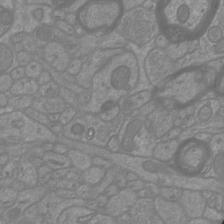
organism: Mouse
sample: Cortical neurons